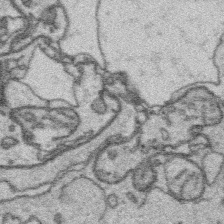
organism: Platynereis dumerilii